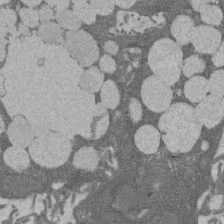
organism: Rat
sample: Salivary granule